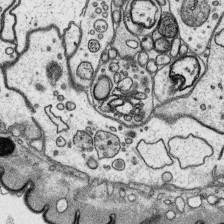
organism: Platynereis dumerilii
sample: Parapodia